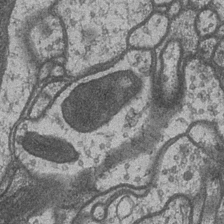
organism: Drosophila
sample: Optic medulla